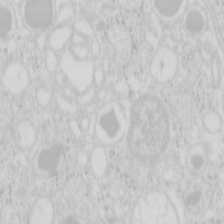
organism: Mouse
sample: Pancreas